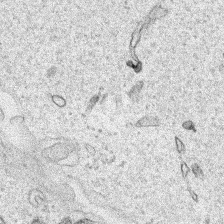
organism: Human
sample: Mitochondria in HCT116 cells